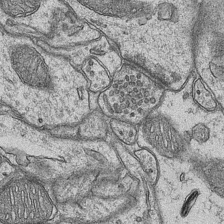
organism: Mouse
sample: CA1 Hippocampus